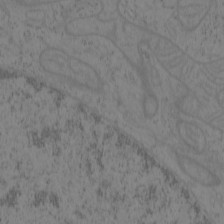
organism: Human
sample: HeLa cells